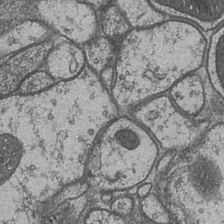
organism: Drosophila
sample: Optic medulla